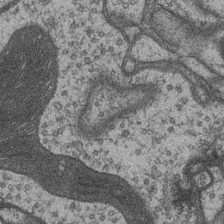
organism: Drosophila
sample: Optic medulla